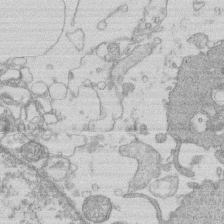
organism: Human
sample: Macrophage cells